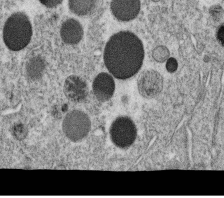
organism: C. elegans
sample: C. elegans oocyte; sperm cells